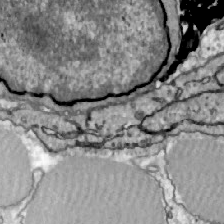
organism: Zebrafish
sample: Actinotrichia fibers